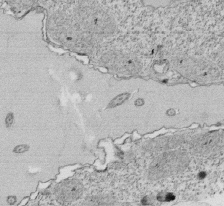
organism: Tetrahymena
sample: Cilia in tetrahymena